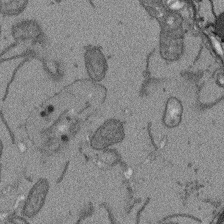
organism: Arabidopsis thaliana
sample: Root tip